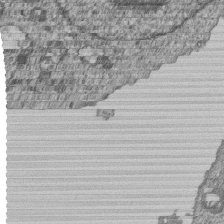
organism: Human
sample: MDA-MB-231 cells